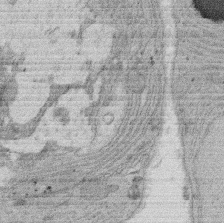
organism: Rat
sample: Salivary granule